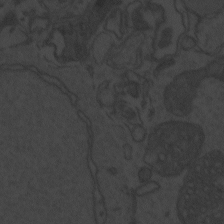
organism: Zebrafish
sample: Macrophage infected with Toxoplasma gondii